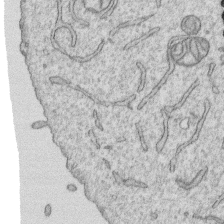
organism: Human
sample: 1205lu cells